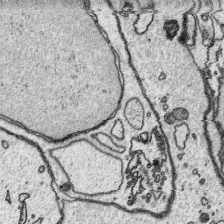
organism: Platynereis dumerilii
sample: Parapodia